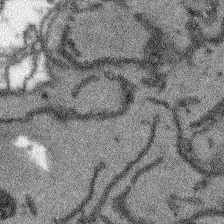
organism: Arabidopsis thaliana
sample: Root tip